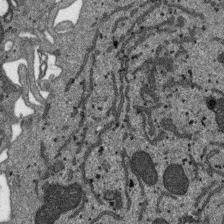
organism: Human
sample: Lung epithelial cells infected with SARS-CoV-2